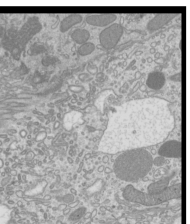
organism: Mouse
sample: Cilia; mouse epididymis